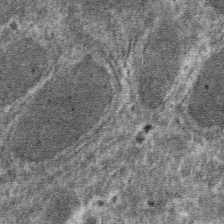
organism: Mouse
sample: Mouse hepatocytes